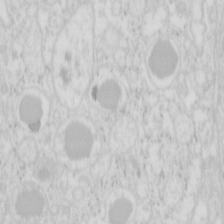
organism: Mouse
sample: Pancreas